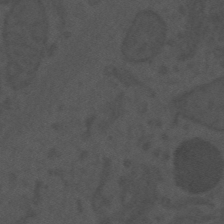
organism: Mouse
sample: Suprachiasmatic nucleus